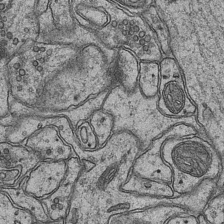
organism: Mouse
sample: CA1 Hippocampus